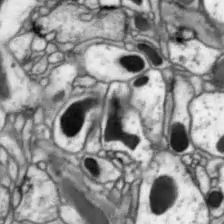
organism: Drosophila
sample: Optic lobe